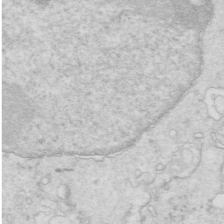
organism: Mouse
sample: Multiciliated cells